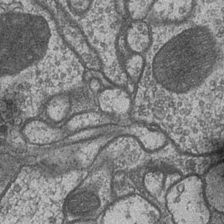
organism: Drosophila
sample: Optic medulla